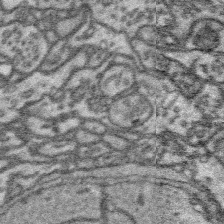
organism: Platynereis dumerilii